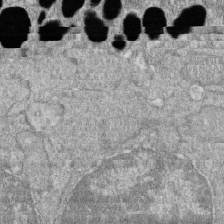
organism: Zebrafish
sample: Cilia; retinal pigment epithelium